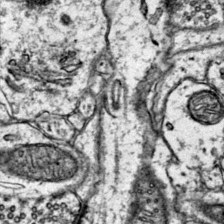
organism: Mouse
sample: Primary visual cortex